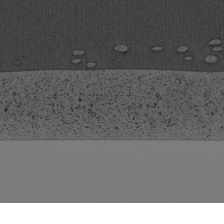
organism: African green monkey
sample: COS-7 cells